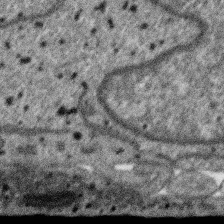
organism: Human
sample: Lung epithelial cells infected with SARS-CoV-2